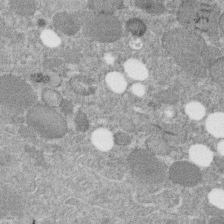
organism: C. elegans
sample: C. elegans embryo early stage